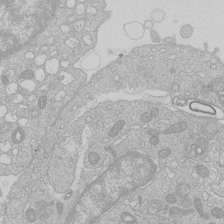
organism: Human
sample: Macrophage cells